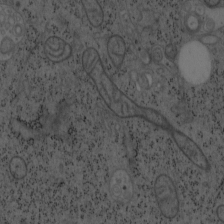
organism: Mouse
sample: OT-I killer T cells with ID8 ovarian cancer cells